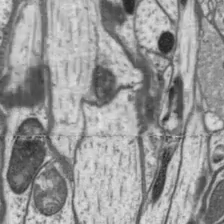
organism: Drosophila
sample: Protocerebral bridge